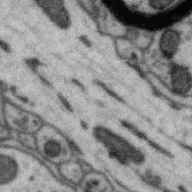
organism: Zebra finch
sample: Brain